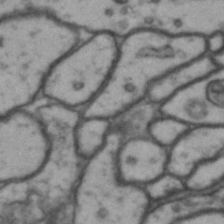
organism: Drosophila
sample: Brain